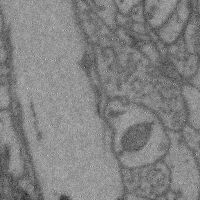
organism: Mouse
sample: Cerebral cortex